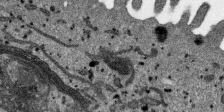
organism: Human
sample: Lung epithelial cells, uninfected (mock) control